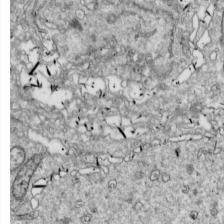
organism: Drosophila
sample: Cell division; meiosis; drosophila spermatocytes